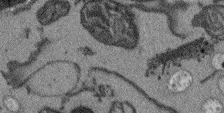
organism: Arabidopsis thaliana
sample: Root tip